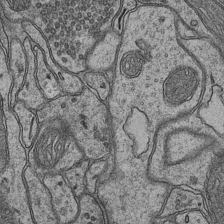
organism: Mouse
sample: CA1 Hippocampus